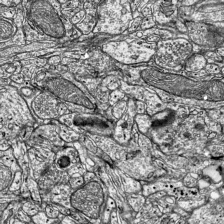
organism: Mouse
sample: Visual Cortex